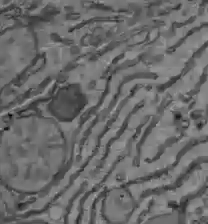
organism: C57BL Mouse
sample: Liver